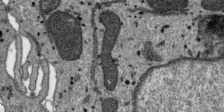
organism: Human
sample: Lung epithelial cells, uninfected (mock) control